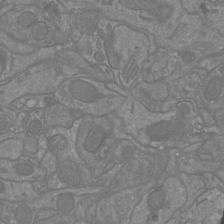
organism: Mouse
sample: Cortical neurons